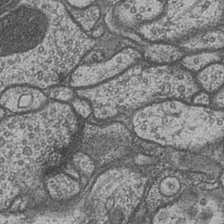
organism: Drosophila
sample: Optic medulla